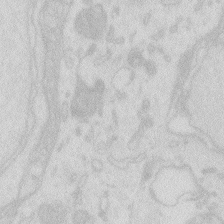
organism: Zebrafish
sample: Macrophage